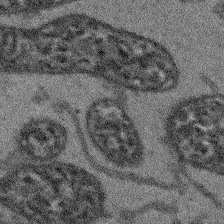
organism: Arabidopsis thaliana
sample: Root tip